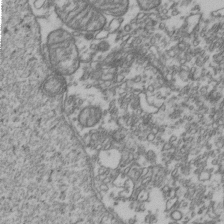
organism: Human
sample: Activated Jurkat CD4+ T cells